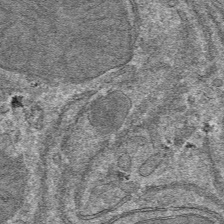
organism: Mouse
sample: Mouse hepatocytes